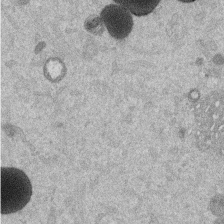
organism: Mouse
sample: Dividing mouse embryo 1 cell stage